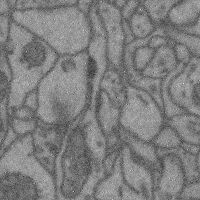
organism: Mouse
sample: Cerebral cortex